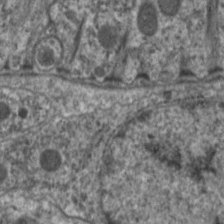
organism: C. elegans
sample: Pharynx